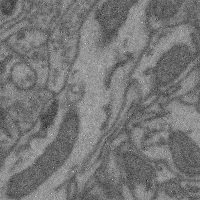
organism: Mouse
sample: Cerebral cortex